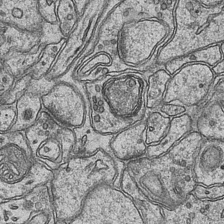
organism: Mouse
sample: CA1 Hippocampus